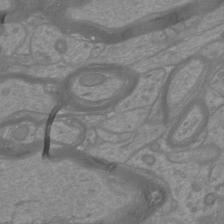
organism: Mouse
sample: Cortical neurons